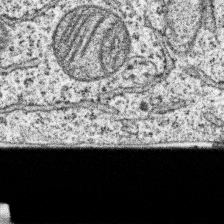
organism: Human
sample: HeLa cells